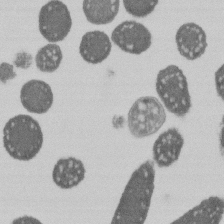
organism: E. coli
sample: Bacterial nucleoid